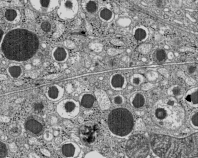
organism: C57BL Mouse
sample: Pancreatic islet